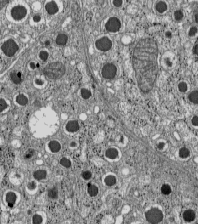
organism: C57BL Mouse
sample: Pancreatic islet